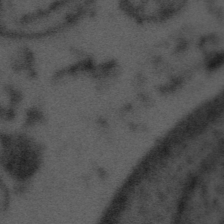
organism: Tuwongella immobilis